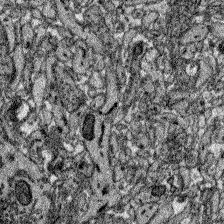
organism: Zebrafish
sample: Larval olfactory bulb